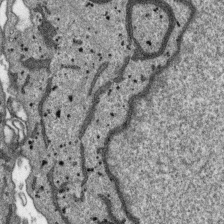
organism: Human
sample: Lung epithelial cells, uninfected (mock) control